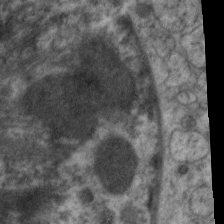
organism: C. elegans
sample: Pharynx